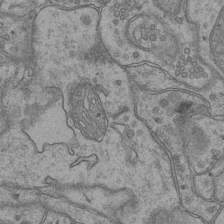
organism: Mouse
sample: CA1 Hippocampus